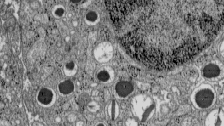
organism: C57BL Mouse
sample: Pancreatic islet